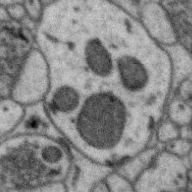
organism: Zebra finch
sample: Brain